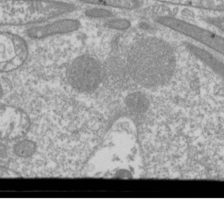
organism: Drosophila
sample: Cell division; meiosis; drosophila spermatocytes